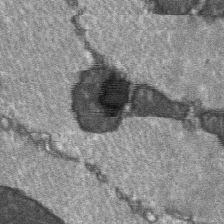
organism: C57BL Mouse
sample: Soleus